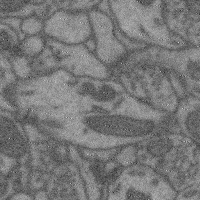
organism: Mouse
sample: Cerebral cortex